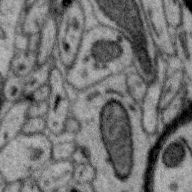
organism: Zebra finch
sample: Brain